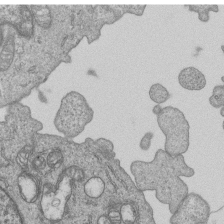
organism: Human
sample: MDA-MB-231 cells